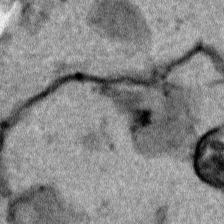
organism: Human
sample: Mitochondria in HCT116 cells